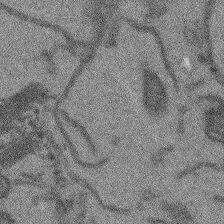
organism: Arabidopsis thaliana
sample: Root tip